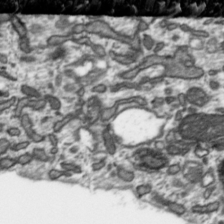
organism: Toxoplasma gondii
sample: Parasites in a vacuole inside a host cell